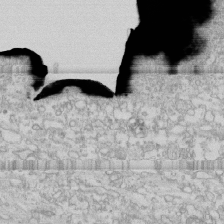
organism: Human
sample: CRL-1474